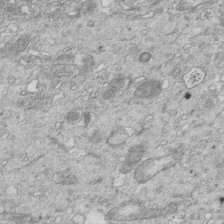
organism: Mouse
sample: Multiciliated cells